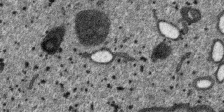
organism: Human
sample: Lung epithelial cells infected with SARS-CoV-2